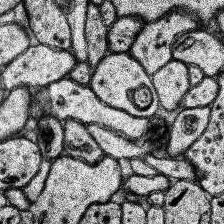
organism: Human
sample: Temporal Lobe